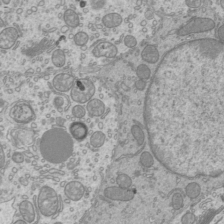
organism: Mouse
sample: Cilia; mouse epididymis